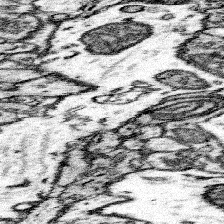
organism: Mouse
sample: Somatosensory cortex neuropil